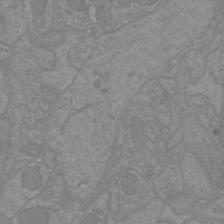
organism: Mouse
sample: Cortical neurons